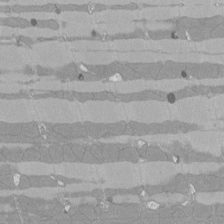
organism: Rat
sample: Left ventricle